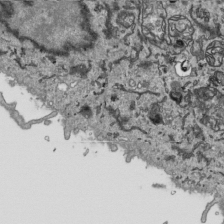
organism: Human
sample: Mitochondria in HCT116 cells